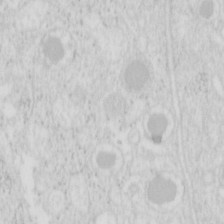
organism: Mouse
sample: Pancreas